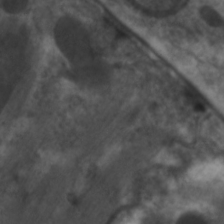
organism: C. elegans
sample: Pharynx